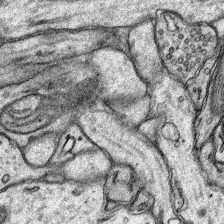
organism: Rat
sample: Hippocampus